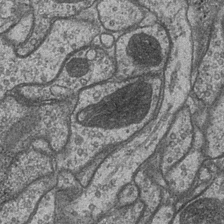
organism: Drosophila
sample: Optic medulla